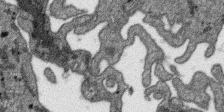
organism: Human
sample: Lung epithelial cells infected with SARS-CoV-2